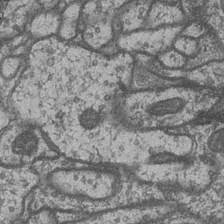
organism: Drosophila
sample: Optic medulla